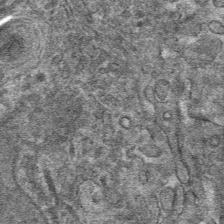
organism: Mouse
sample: Mouse hepatocytes